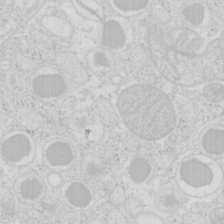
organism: Mouse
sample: Pancreas